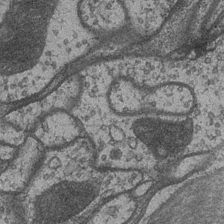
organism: Drosophila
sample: Optic medulla